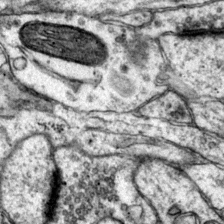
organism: Mouse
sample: Primary visual cortex